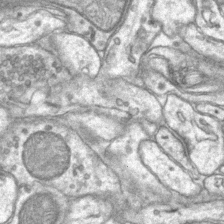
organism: Mouse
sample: CA1 Hippocampus